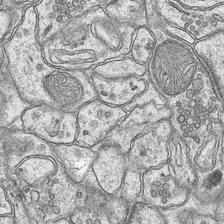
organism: Mouse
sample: CA1 Hippocampus